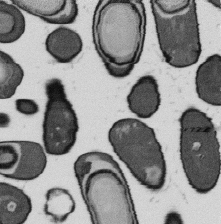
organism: B. subtilis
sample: Bacterial spore